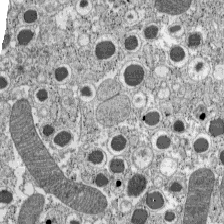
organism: C57BL Mouse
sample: Pancreatic islet